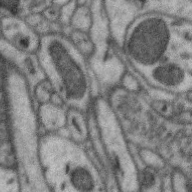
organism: Zebra finch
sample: Brain